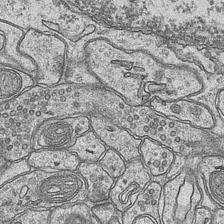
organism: Mouse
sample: CA1 Hippocampus